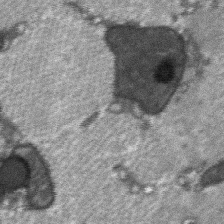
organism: C57BL Mouse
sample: Soleus